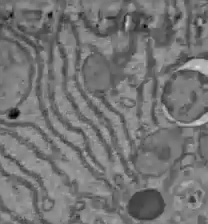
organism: C57BL Mouse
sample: Liver